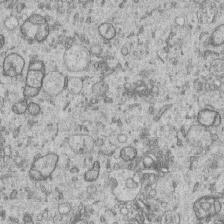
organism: Human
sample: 1205lu cells